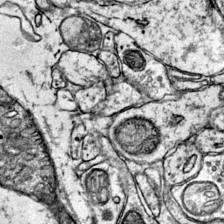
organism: Mouse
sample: Primary visual cortex